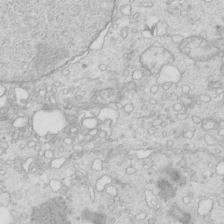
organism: Mouse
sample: Multiciliated cells